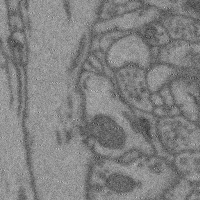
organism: Mouse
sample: Cerebral cortex